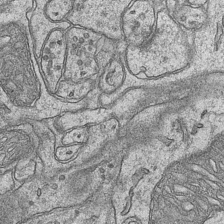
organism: Mouse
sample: CA1 Hippocampus